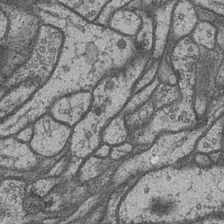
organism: Drosophila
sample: Optic medulla